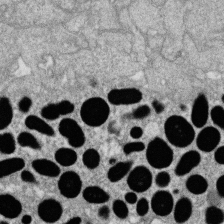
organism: Zebrafish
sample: Cilia; retinal pigment epithelium